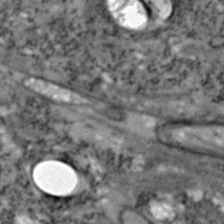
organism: Zebrafish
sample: Zebrafish embryo